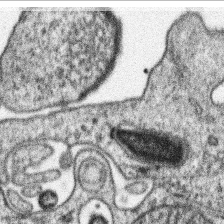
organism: Human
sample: HeLa cells